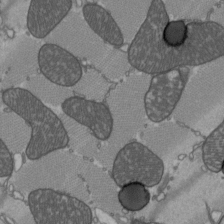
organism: C57BL Mouse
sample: Heart